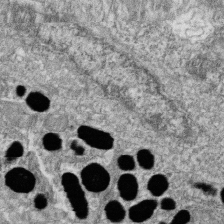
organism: Zebrafish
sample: Cilia; retinal pigment epithelium